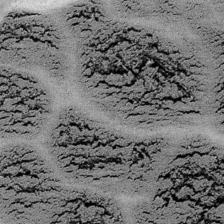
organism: Embia sp.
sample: Silk gland